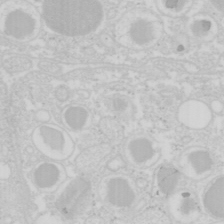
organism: Mouse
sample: Pancreas